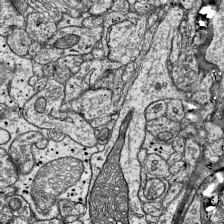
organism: Mouse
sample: Visual Cortex